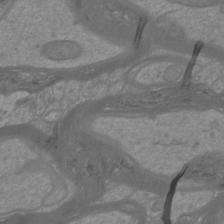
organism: Mouse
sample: Cortical neurons